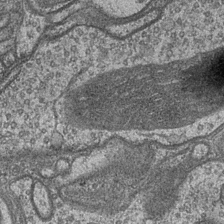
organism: Drosophila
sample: Optic medulla